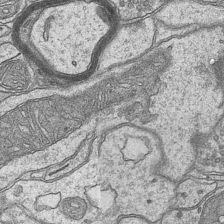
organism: Mouse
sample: CA1 Hippocampus